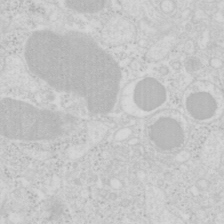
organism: Mouse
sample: Pancreas